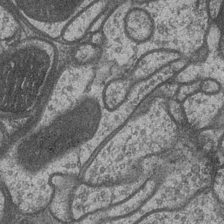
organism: Drosophila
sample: Optic medulla